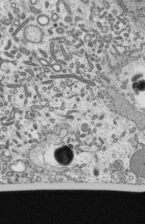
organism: Mouse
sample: Mouse epididymis efferent ductule cilia